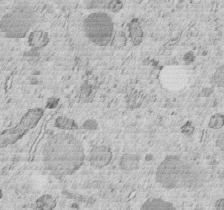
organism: C. elegans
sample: C. elegans embryo early stage